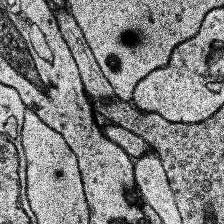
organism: Human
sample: Temporal Lobe